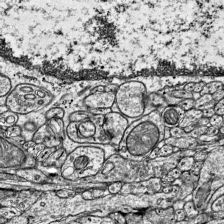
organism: Mouse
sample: Visual Cortex